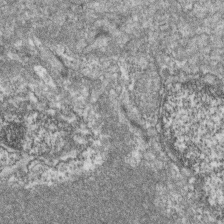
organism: Zebrafish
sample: Cilia; retinal pigment epithelium